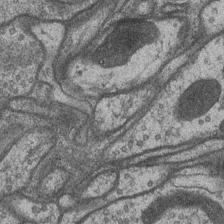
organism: Drosophila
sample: Optic medulla